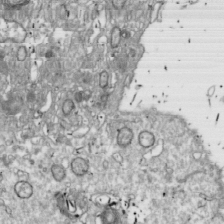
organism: Drosophila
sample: Cell division; meiosis; drosophila spermatocytes